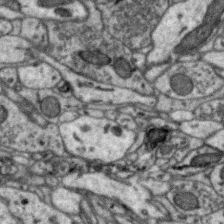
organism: Zebra finch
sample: Brain